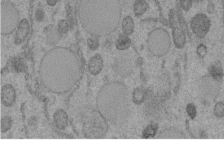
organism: C. elegans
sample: C. elegans embryo early stage